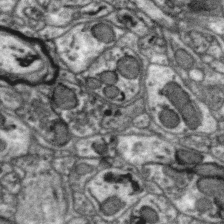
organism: Zebra finch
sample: Brain